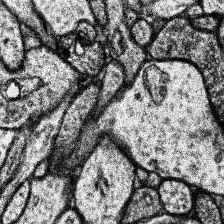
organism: Human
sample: Temporal Lobe